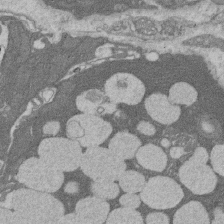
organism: Rat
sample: Salivary granule